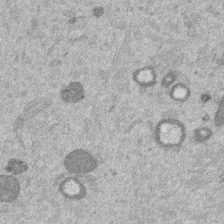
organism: Mouse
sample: Dividing mouse embryo 1 cell stage